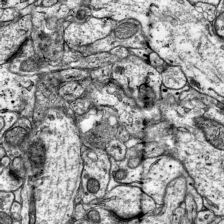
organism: Mouse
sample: Visual Cortex